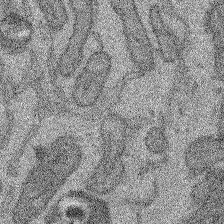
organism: Human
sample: HeLa cells